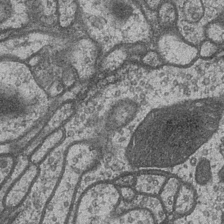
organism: Drosophila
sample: Optic medulla